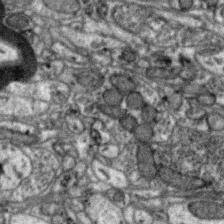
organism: Zebra finch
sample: Brain